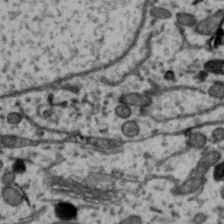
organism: Zebra finch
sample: Brain